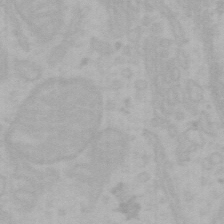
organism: Mouse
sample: Choroid plexus